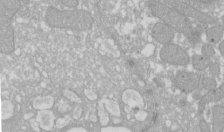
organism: Xenopus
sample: Cilia; centrioles in frog embryo cells